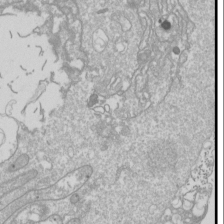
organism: Drosophila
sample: Cell division; meiosis; drosophila spermatocytes